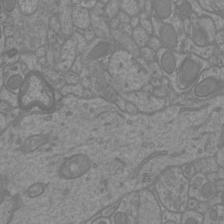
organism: Mouse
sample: Cortical neurons